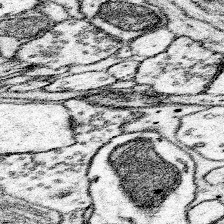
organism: Mouse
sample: Somatosensory cortex neuropil